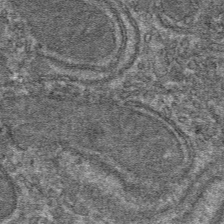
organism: Mouse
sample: Mouse hepatocytes